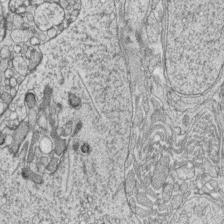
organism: Zebrafish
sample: synaptic ribbons in rod cells and cone cells